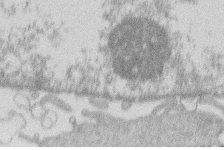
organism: Human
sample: Macrophage cells